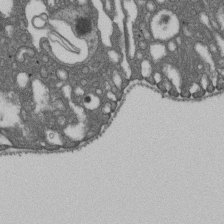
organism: Drosophila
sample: Nephrocyte